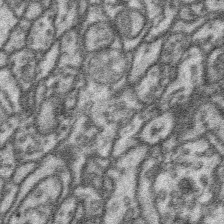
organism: Platynereis dumerilii